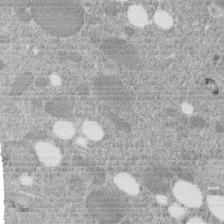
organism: C. elegans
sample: C. elegans embryo early stage